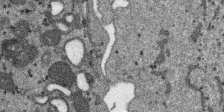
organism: Human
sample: Lung epithelial cells infected with SARS-CoV-2